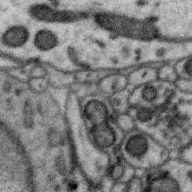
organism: Zebra finch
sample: Brain